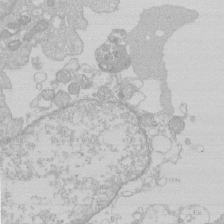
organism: Human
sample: Macrophage cells